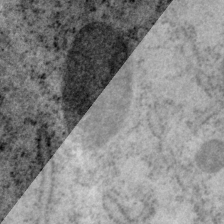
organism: P. pacificus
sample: Pharynx